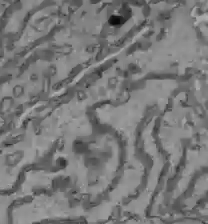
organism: C57BL Mouse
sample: Liver